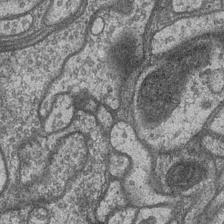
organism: Drosophila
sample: Optic medulla